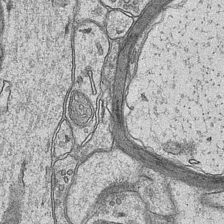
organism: Mouse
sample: CA1 Hippocampus